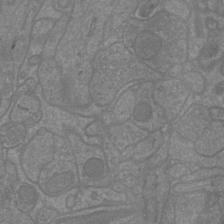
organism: Mouse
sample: Cortical neurons